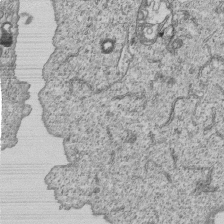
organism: Human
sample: MDA-MB-231 cells